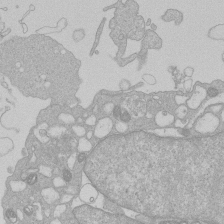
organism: Human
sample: Macrophage cells